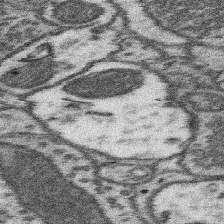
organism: Mouse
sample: Somatosensory cortex neuropil